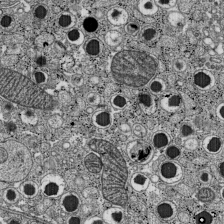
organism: C57BL Mouse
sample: Pancreatic islet